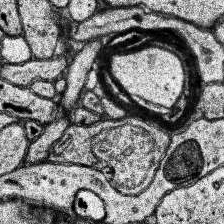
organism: Human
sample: Temporal Lobe